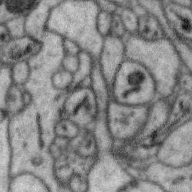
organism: Zebra finch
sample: Brain